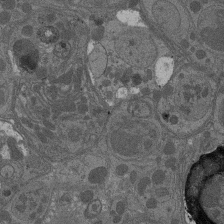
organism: Drosophila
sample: Antenna